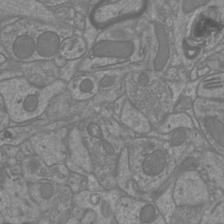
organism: Mouse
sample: Cortical neurons